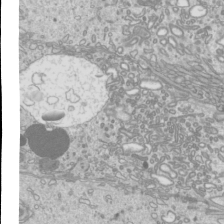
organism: Mouse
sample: Cilia; mouse epididymis